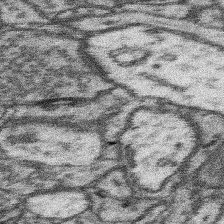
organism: Mouse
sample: Somatosensory cortex neuropil